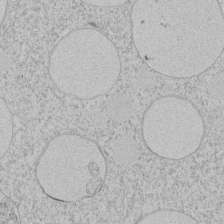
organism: Tetrahymena